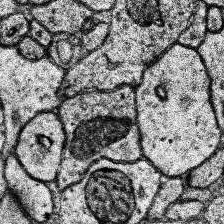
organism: Human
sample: Temporal Lobe